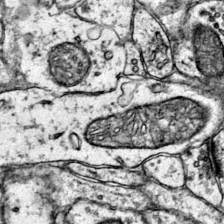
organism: Mouse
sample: Primary visual cortex